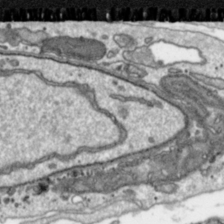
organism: Toxoplasma gondii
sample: Parasites in a vacuole inside a host cell